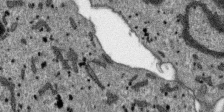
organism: Human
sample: Lung epithelial cells, uninfected (mock) control